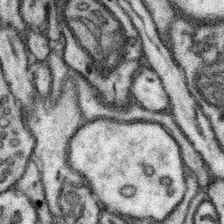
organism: Mouse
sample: Somatosensory cortex neuropil